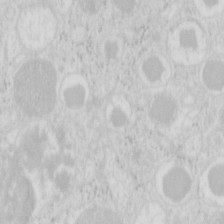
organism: Mouse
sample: Pancreas